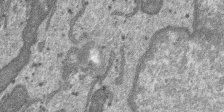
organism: Human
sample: Lung epithelial cells infected with SARS-CoV-2